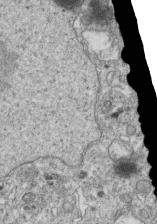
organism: Human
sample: HeLa cell HIV synapse